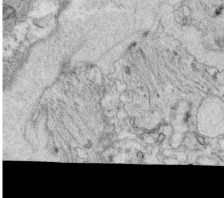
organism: C. elegans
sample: C. elegans oocyte; sperm cells